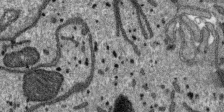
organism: Human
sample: Lung epithelial cells, uninfected (mock) control